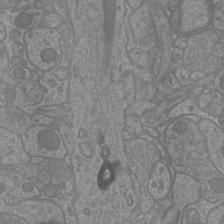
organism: Mouse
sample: Cortical neurons